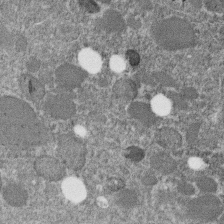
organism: C. elegans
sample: C. elegans embryo early stage